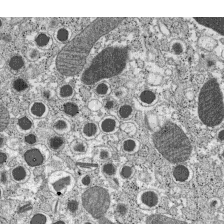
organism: C57BL Mouse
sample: Pancreatic islet